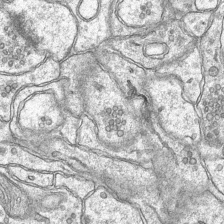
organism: Mouse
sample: CA1 Hippocampus